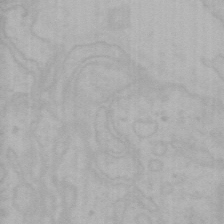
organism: Mouse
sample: Choroid plexus